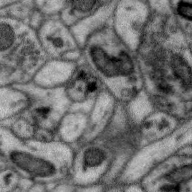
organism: Zebra finch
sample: Brain